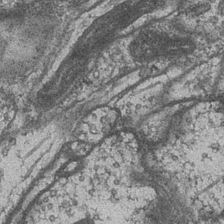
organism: Drosophila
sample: Optic medulla